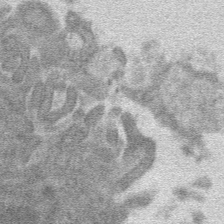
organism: Mouse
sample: Mouse hepatocytes